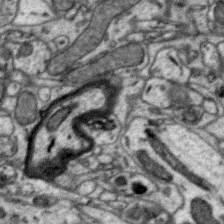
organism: Zebra finch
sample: Brain